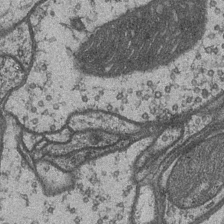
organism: Drosophila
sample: Optic medulla